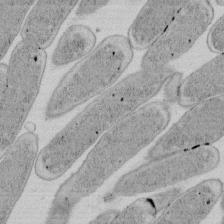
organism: E. coli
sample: Bacterial nucleoid